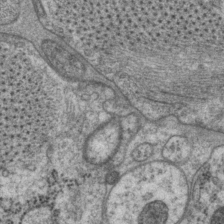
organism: P. pacificus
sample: Pharynx